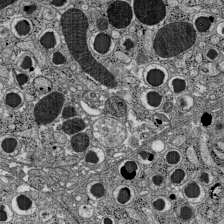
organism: C57BL Mouse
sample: Pancreatic islet